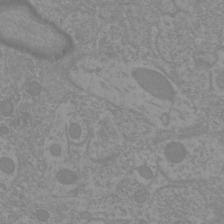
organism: Mouse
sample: Cortical neurons